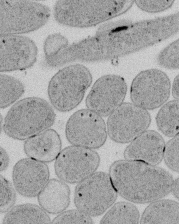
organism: E. coli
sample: Bacterial nucleoid